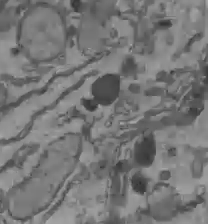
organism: C57BL Mouse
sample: Liver